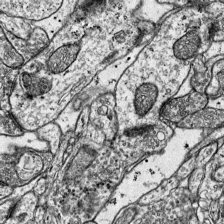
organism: Mouse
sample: Visual Cortex